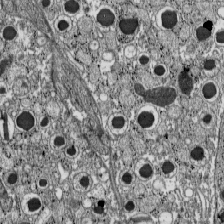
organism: C57BL Mouse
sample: Pancreatic islet